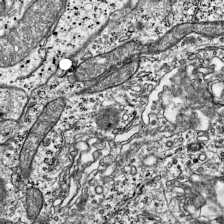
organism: Mouse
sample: Visual Cortex